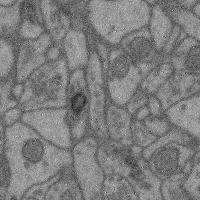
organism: Mouse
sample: Cerebral cortex